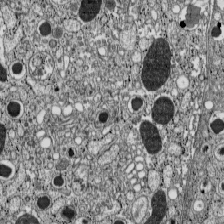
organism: C57BL Mouse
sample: Pancreatic islet